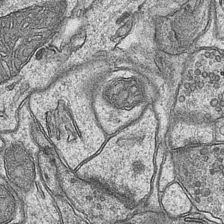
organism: Mouse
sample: CA1 Hippocampus